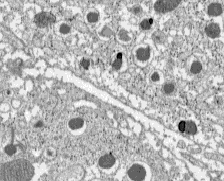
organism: C57BL Mouse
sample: Pancreatic islet